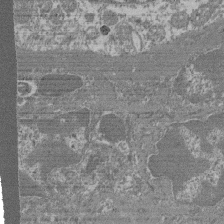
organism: Mouse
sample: Glomerulus